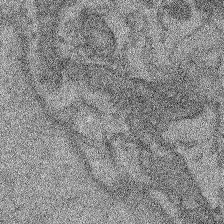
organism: Human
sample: HeLa cells